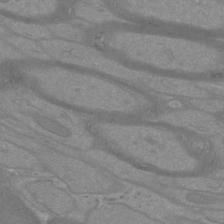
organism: Mouse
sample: Cortical neurons